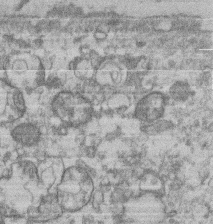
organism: Mouse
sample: T cell stromal cell synapse